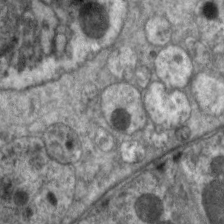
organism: C. elegans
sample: Pharynx